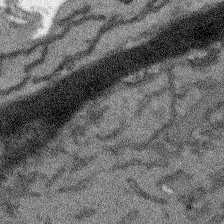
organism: Arabidopsis thaliana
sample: Root tip